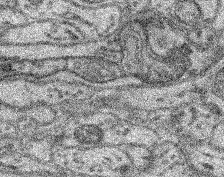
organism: Mouse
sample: Retina